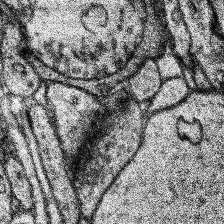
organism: Human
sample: Temporal Lobe